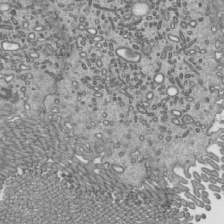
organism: Mouse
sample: Mouse epididymis efferent ductule cilia